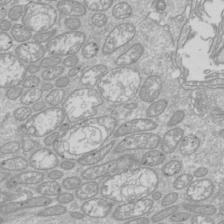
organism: Drosophila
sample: Cell division; meiosis; drosophila spermatocytes